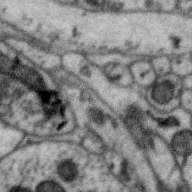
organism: Zebra finch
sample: Brain